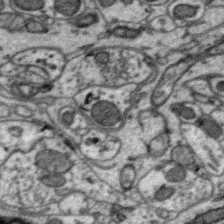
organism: Zebra finch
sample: Brain